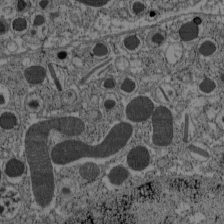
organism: C57BL Mouse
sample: Pancreatic islet